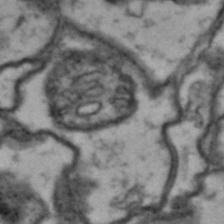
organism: Drosophila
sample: Brain